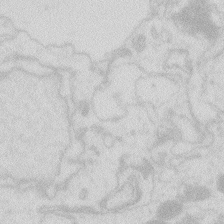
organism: Zebrafish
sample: Macrophage